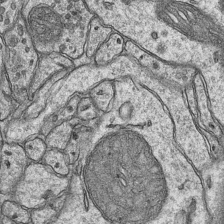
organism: Mouse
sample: CA1 Hippocampus